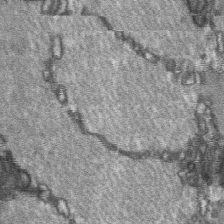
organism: C57BL Mouse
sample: Soleus